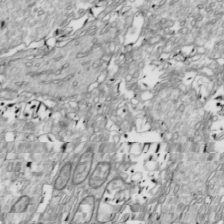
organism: Drosophila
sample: Cell division; meiosis; drosophila spermatocytes